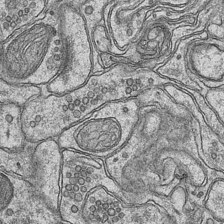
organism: Mouse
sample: CA1 Hippocampus